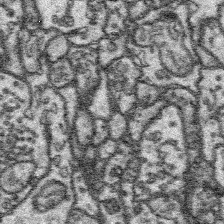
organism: Platynereis dumerilii